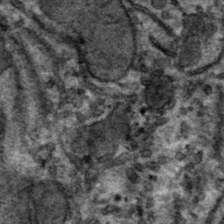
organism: Mouse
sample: Mouse hepatocytes